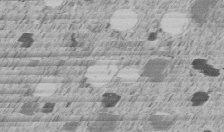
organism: C. elegans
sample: C. elegans embryo early stage